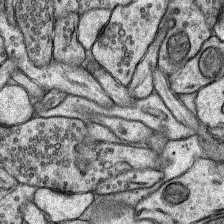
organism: Rat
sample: Hippocampus